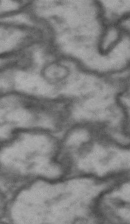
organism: Drosophila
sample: Brain